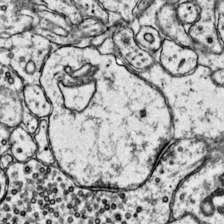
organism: Mouse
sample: Primary visual cortex